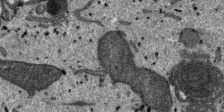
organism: Human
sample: Lung epithelial cells, uninfected (mock) control